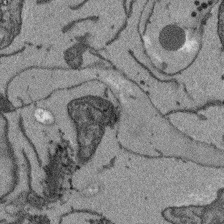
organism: Arabidopsis thaliana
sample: Root tip